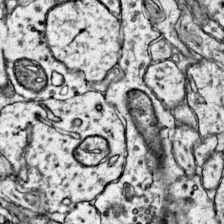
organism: Mouse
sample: Primary visual cortex